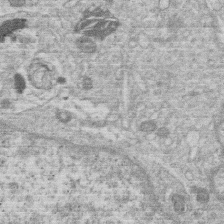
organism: Human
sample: Macrophage cells